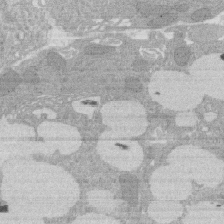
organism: Rat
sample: Salivary granule